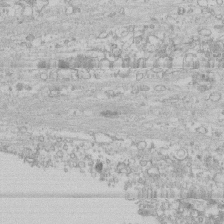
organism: Human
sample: CRL-1474